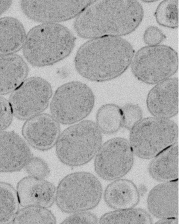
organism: E. coli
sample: Bacterial nucleoid